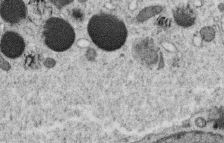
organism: C. elegans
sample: C. elegans oocyte; sperm cells